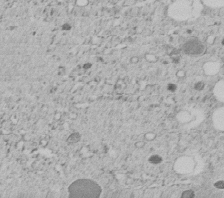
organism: C. elegans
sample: C. elegans embryo early stage